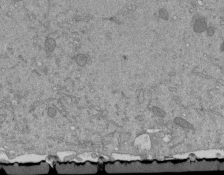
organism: Mouse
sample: ED-1 cell nuclei; centrioles